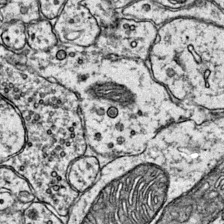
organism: Mouse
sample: Primary visual cortex